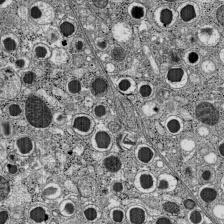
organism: C57BL Mouse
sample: Pancreatic islet